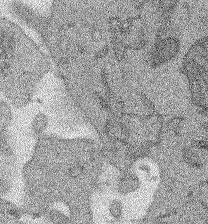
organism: Human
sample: HeLa cells